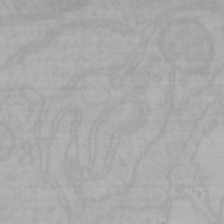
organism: Mouse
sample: Choroid plexus